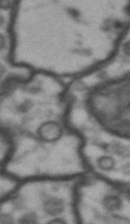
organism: Drosophila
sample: Brain